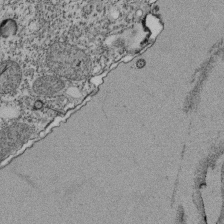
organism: Tetrahymena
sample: Cilia in tetrahymena